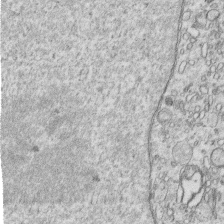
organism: Human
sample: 1205lu cells